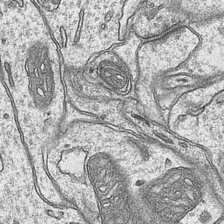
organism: Mouse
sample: CA1 Hippocampus